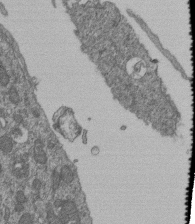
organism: Human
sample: Retinal organoid Rod and Cone cells